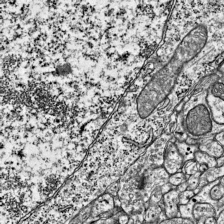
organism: Mouse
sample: Visual Cortex